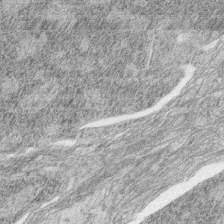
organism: Zebrafish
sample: synaptic ribbons in rod cells and cone cells